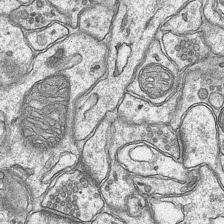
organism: Mouse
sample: CA1 Hippocampus